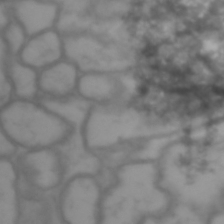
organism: Drosophila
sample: Brain